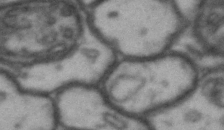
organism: Drosophila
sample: Brain